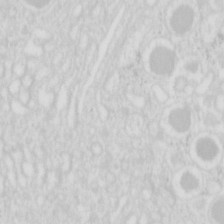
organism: Mouse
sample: Pancreas